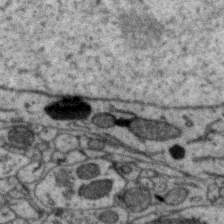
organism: Zebra finch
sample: Brain